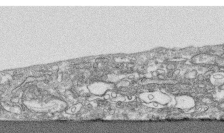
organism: Human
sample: CRL-1474